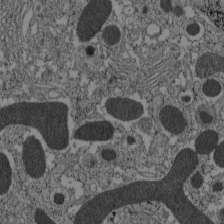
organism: C57BL Mouse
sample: Pancreatic islet